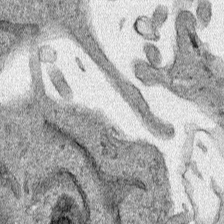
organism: Human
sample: Mitochondria in HCT116 cells